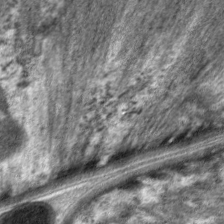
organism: C. elegans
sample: Pharynx